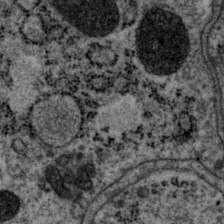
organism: P. pacificus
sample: Pharynx